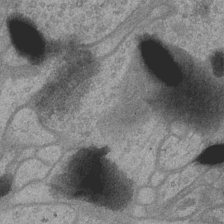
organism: Drosophila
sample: Optic medulla